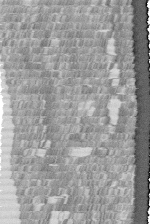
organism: Human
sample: Centriole in fibroblast cells